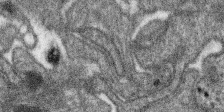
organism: Human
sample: Lung epithelial cells infected with SARS-CoV-2